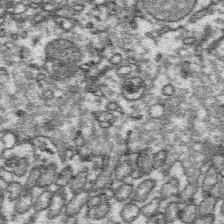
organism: Platynereis dumerilii